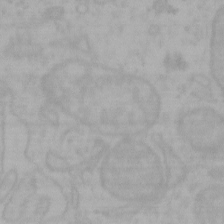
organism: Mouse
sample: Choroid plexus